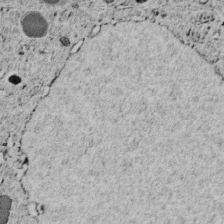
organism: C. elegans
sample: C. elegans embryo early stage